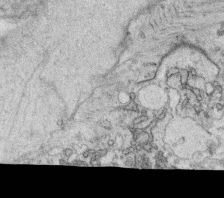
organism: C. elegans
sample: C. elegans oocyte; sperm cells